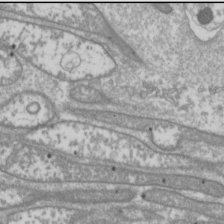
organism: Drosophila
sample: Cell division; meiosis; drosophila spermatocytes